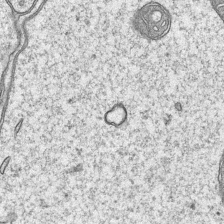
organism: Mouse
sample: CA1 Hippocampus